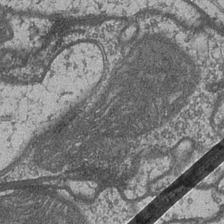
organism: Drosophila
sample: Optic medulla